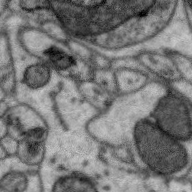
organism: Zebra finch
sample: Brain